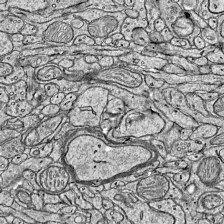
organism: Mouse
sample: Visual Cortex